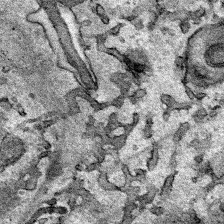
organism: Human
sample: Mitochondria in HCT116 cells